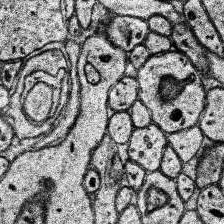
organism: Human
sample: Temporal Lobe